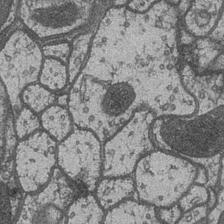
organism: Drosophila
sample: Optic medulla